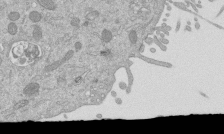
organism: Mouse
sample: ED-1 cell nuclei; centrioles